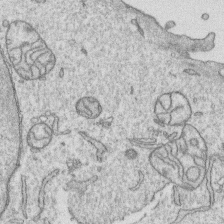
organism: Human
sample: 1205lu cells